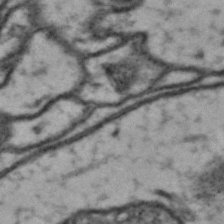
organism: Drosophila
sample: Brain